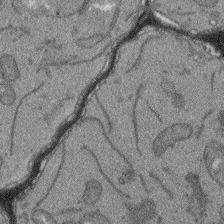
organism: Arabidopsis thaliana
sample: Root tip